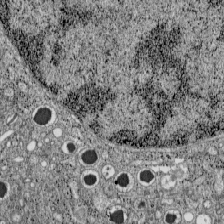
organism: C57BL Mouse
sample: Pancreatic islet